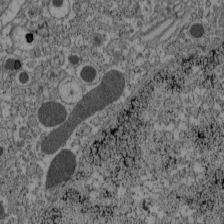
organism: C57BL Mouse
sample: Pancreatic islet